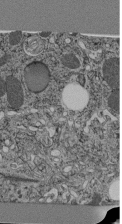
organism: C. elegans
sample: C. elegans pharynx